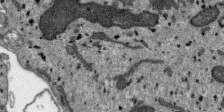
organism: Human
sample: Lung epithelial cells, uninfected (mock) control